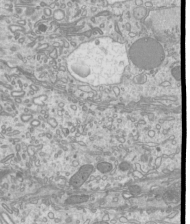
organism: Mouse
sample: Cilia; mouse epididymis